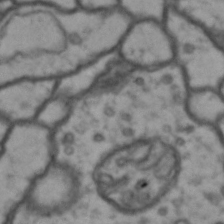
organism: Drosophila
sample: Brain